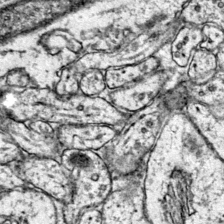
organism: Mouse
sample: Primary visual cortex